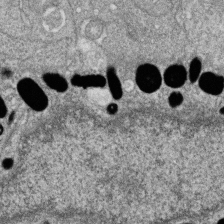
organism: Zebrafish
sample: Cilia; retinal pigment epithelium